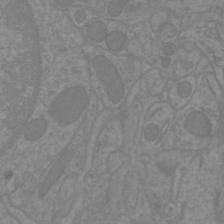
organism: Mouse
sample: Cortical neurons